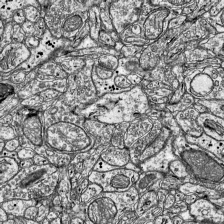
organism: Mouse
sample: Visual Cortex